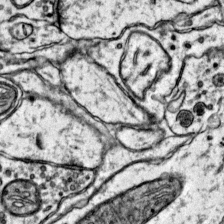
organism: Mouse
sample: Primary visual cortex